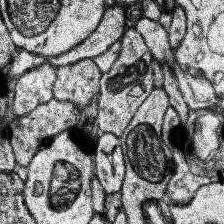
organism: Human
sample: Temporal Lobe